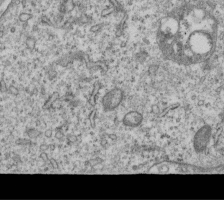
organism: Human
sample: MDA-MB-231 cells